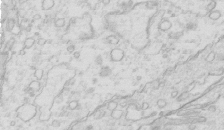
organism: Mouse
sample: Multiciliated cells